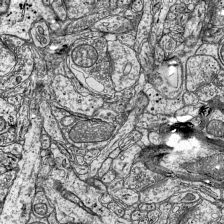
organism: Mouse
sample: Visual Cortex